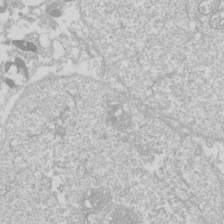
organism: Drosophila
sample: Cell division; meiosis; drosophila spermatocytes